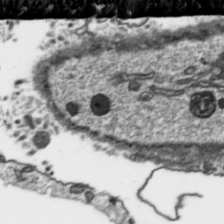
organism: Toxoplasma gondii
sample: Parasites in a vacuole inside a host cell